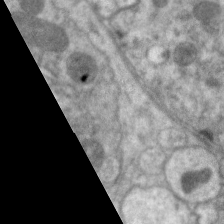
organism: C. elegans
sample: Pharynx